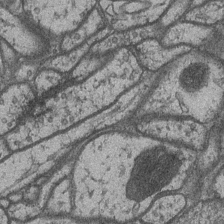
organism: Drosophila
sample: Optic medulla